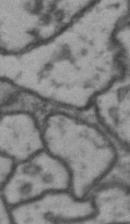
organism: Drosophila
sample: Brain